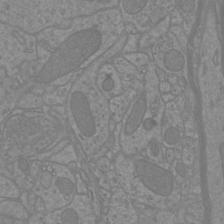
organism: Mouse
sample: Cortical neurons